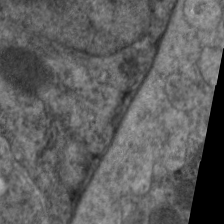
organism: C. elegans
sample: Pharynx